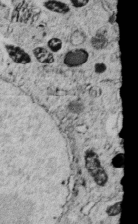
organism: C. elegans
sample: C. elegans embryo early stage